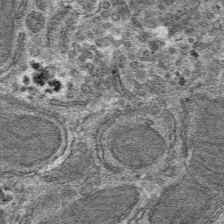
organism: Mouse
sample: Mouse hepatocytes